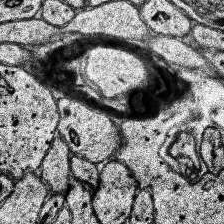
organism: Human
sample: Temporal Lobe